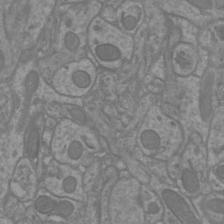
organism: Mouse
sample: Cortical neurons